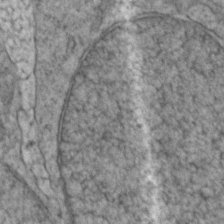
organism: Zebrafish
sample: Zebrafish embryo